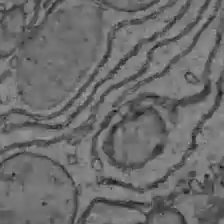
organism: C57BL Mouse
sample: Liver